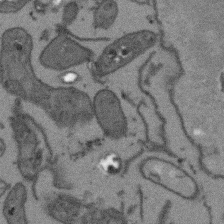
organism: Arabidopsis thaliana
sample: Root tip